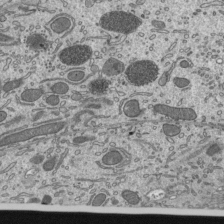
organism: Mouse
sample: Mouse epididymis efferent ductule cilia